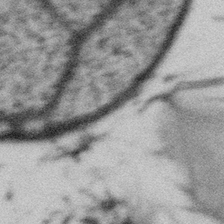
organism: Gemmata obscuriglobus